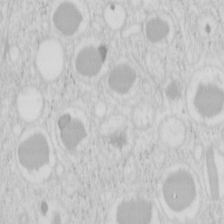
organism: Mouse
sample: Pancreas